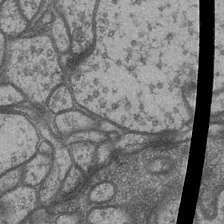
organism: Drosophila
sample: Optic medulla